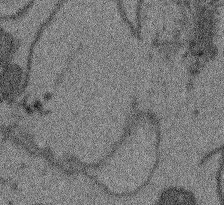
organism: Arabidopsis thaliana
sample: Root tip